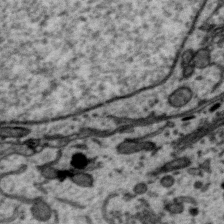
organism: Zebra finch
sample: Brain